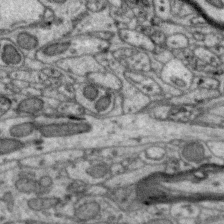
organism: Zebra finch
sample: Brain